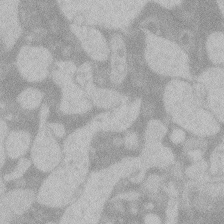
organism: Zebrafish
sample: Macrophage infected with Toxoplasma gondii